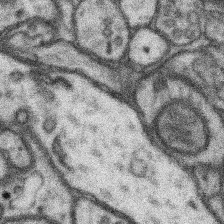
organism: Mouse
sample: Somatosensory cortex neuropil